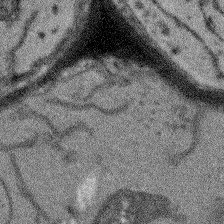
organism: Arabidopsis thaliana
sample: Root tip